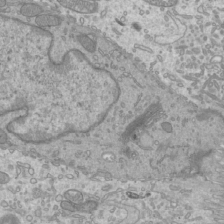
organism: Mouse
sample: Cilia; mouse epididymis